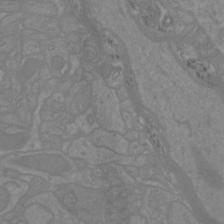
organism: Mouse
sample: Cortical neurons